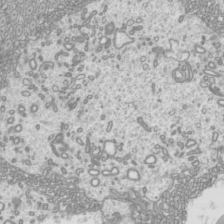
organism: Mouse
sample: Cilia; mouse epididymis